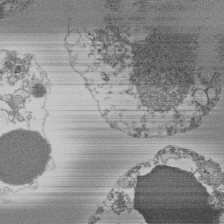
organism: Mouse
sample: Activated Pmel transgenic CD8+ T Cells